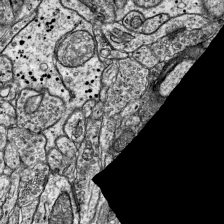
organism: Mouse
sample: Visual Cortex